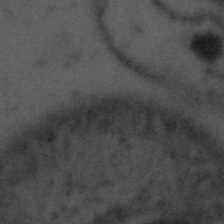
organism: Tuwongella immobilis